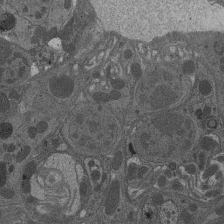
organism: Drosophila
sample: Antenna